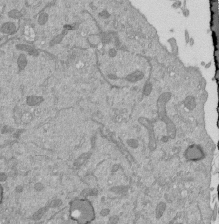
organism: Mouse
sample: ED-1 cell nuclei; centrioles